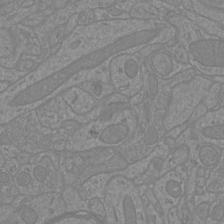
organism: Mouse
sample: Cortical neurons